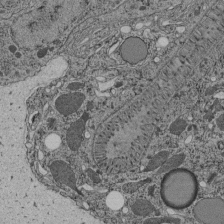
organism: C. elegans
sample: C. elegans pharynx